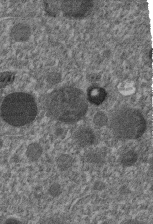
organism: C. elegans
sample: C. elegans embryo early stage